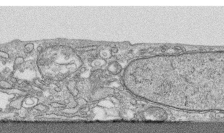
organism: Human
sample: CRL-1474